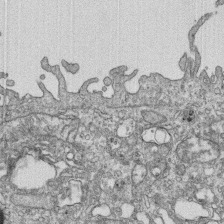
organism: Human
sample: HeLa cell HIV synapse